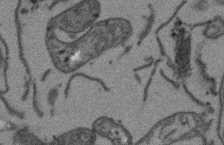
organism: Arabidopsis thaliana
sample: Root tip